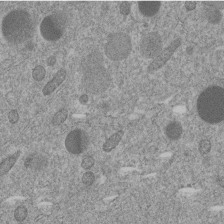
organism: C. elegans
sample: C. elegans embryo early stage